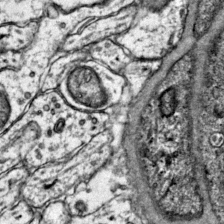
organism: Mouse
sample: Primary visual cortex